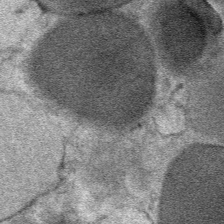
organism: Mouse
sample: Mouse Salivary gland